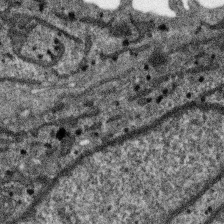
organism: Human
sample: Lung epithelial cells infected with SARS-CoV-2